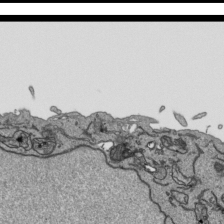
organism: Human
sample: Mitochondria in HCT116 cells